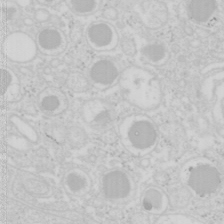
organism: Mouse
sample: Pancreas